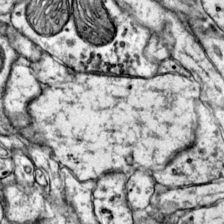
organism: Mouse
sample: Primary visual cortex